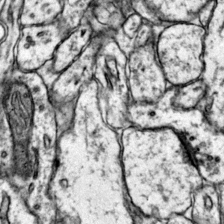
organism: Mouse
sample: Primary visual cortex